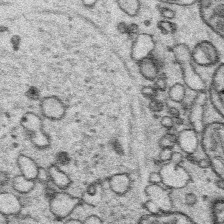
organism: Platynereis dumerilii